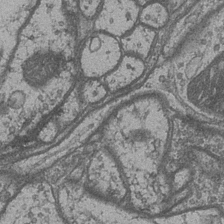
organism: Drosophila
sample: Optic medulla